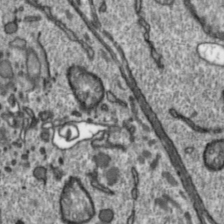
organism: Toxoplasma gondii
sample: Parasites in a vacuole inside a host cell